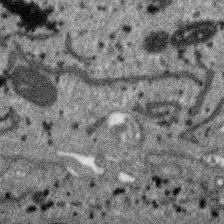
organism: Human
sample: Lung epithelial cells infected with SARS-CoV-2